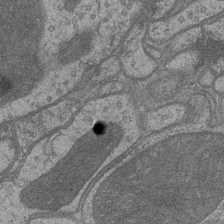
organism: Drosophila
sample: Optic medulla